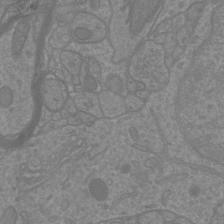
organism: Mouse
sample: Cortical neurons